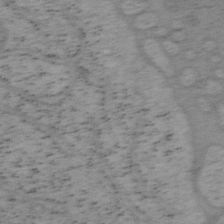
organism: Mouse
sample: OT-I killer T cells with ID8 ovarian cancer cells